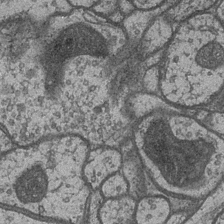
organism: Drosophila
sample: Optic medulla